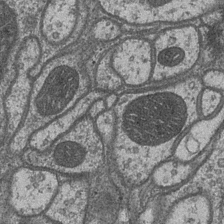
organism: Drosophila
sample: Optic medulla